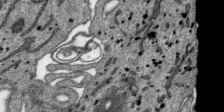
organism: Human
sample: Lung epithelial cells, uninfected (mock) control